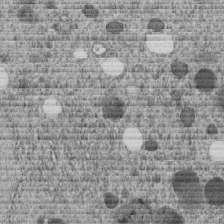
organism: C. elegans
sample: C. elegans embryo early stage